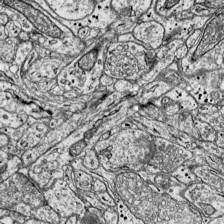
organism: Mouse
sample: Visual Cortex